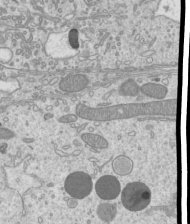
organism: Mouse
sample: Cilia; mouse epididymis